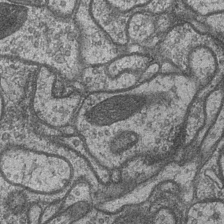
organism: Drosophila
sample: Optic medulla